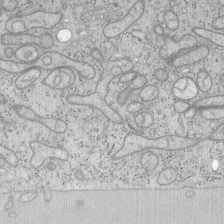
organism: Mouse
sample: OT-I killer T cells with ID8 ovarian cancer cells